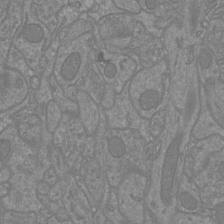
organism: Mouse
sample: Cortical neurons